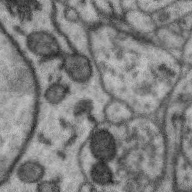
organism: Zebra finch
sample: Brain